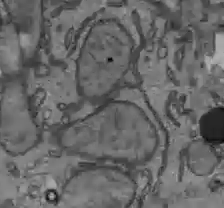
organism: C57BL Mouse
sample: Liver